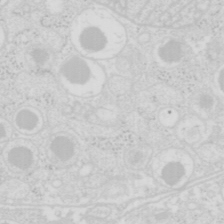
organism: Mouse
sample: Pancreas